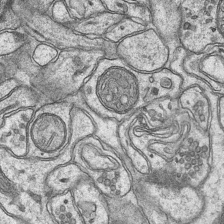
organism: Mouse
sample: CA1 Hippocampus